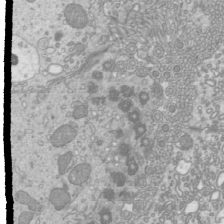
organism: Mouse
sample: Cilia; mouse epididymis